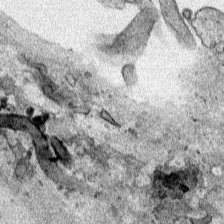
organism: Human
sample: Mitochondria in HCT116 cells